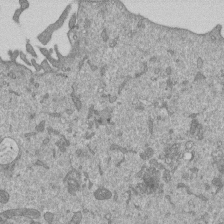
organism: Mouse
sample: ED-1 cell nuclei; centrioles